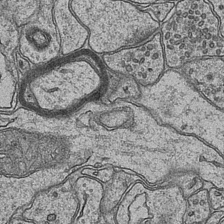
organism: Mouse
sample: CA1 Hippocampus